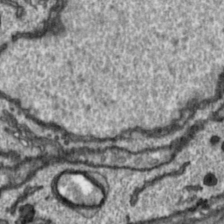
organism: Toxoplasma gondii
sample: Parasites in a vacuole inside a host cell